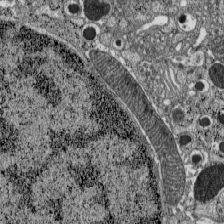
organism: C57BL Mouse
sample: Pancreatic islet